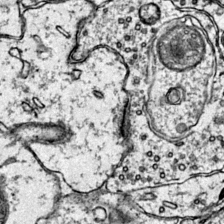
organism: Mouse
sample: Primary visual cortex